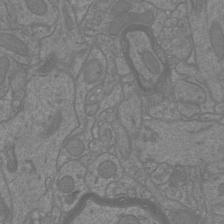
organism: Mouse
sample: Cortical neurons